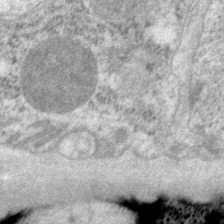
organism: P. pacificus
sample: Pharynx